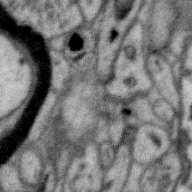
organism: Zebra finch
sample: Brain